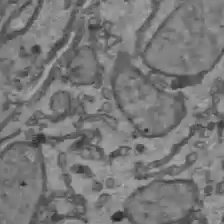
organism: C57BL Mouse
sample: Liver